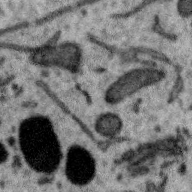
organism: Zebra finch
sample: Brain